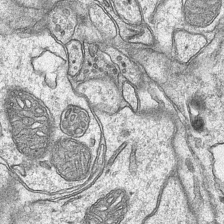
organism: Mouse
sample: CA1 Hippocampus